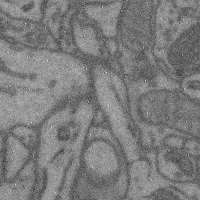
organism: Mouse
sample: Cerebral cortex